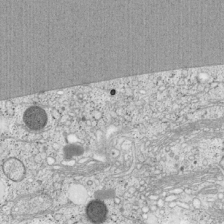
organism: African green monkey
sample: COS-7 cells